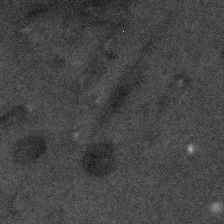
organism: Human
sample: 1205lu cells